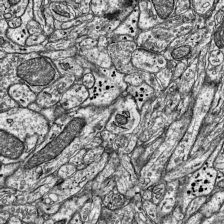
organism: Mouse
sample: Visual Cortex